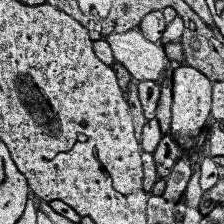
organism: Human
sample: Temporal Lobe